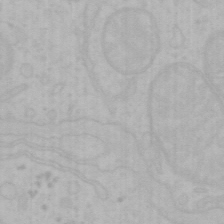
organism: Mouse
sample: Choroid plexus